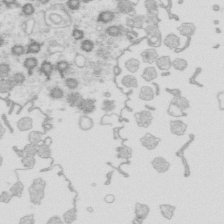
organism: Mouse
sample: Multiciliated cells